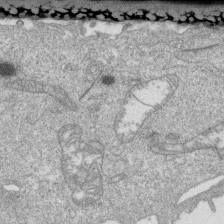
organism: Human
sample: HeLa cell HIV synapse